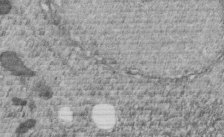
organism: C. elegans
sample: C. elegans embryo early stage